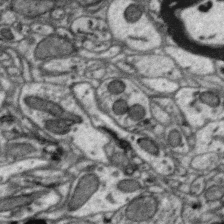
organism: Zebra finch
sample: Brain